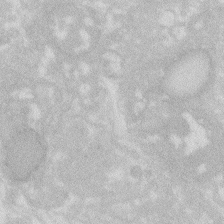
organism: Zebrafish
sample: Macrophage